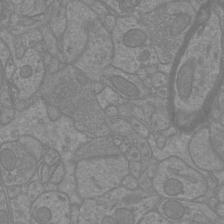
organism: Mouse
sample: Cortical neurons